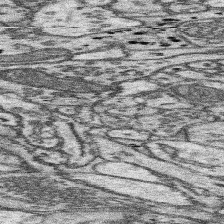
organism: Mouse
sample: Somatosensory cortex neuropil